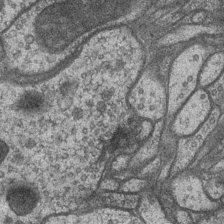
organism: Drosophila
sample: Optic medulla